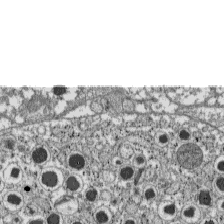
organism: C57BL Mouse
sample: Pancreatic islet